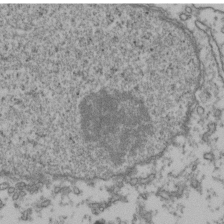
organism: Human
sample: Activated Jurkat CD4+ T cells